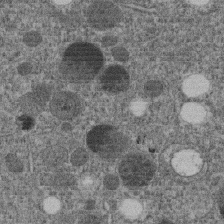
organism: C. elegans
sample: C. elegans embryo early stage